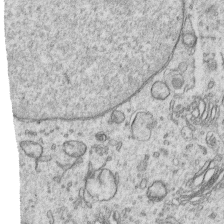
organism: Human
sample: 1205lu cells